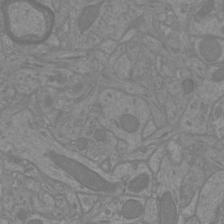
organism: Mouse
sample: Cortical neurons